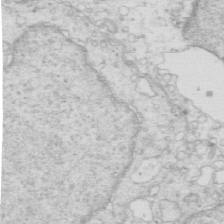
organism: Mouse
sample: Multiciliated cells